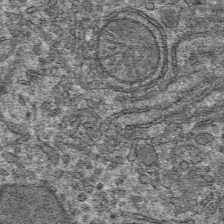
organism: Mouse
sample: Mouse hepatocytes